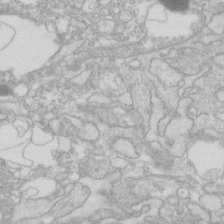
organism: Human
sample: Fibroblast cells